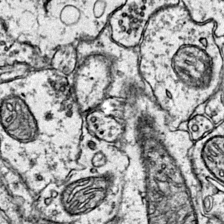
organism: Mouse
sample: Primary visual cortex